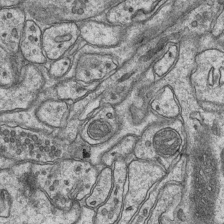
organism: Mouse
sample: CA1 Hippocampus